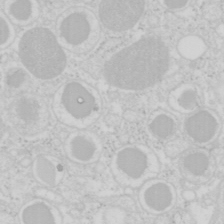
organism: Mouse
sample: Pancreas